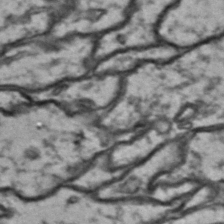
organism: Drosophila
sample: Brain